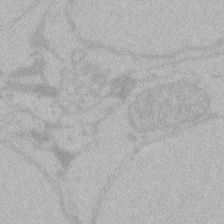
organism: Zebrafish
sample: Macrophage infected with Toxoplasma gondii